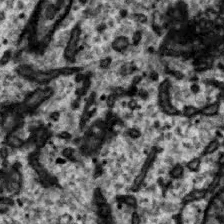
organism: Human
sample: HeLa cells